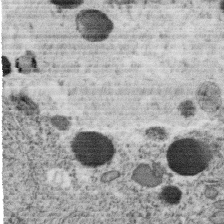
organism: C. elegans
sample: C. elegans oocyte; sperm cells